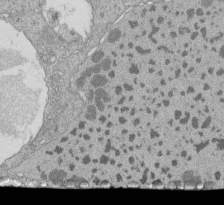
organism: Tetrahymena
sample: Cilia in tetrahymena